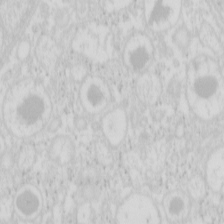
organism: Mouse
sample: Pancreas